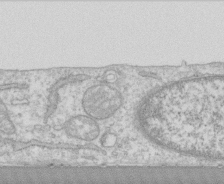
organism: Human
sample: CRL-1474